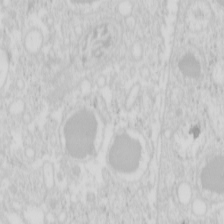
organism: Mouse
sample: Pancreas